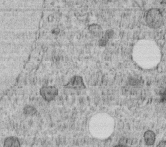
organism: C. elegans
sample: C. elegans embryo early stage